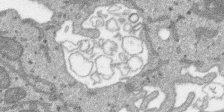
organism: Human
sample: Lung epithelial cells infected with SARS-CoV-2